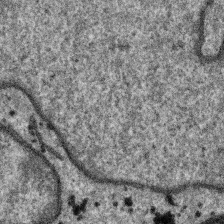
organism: Human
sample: Lung epithelial cells infected with SARS-CoV-2